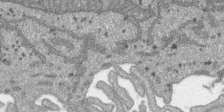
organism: Human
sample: Lung epithelial cells infected with SARS-CoV-2